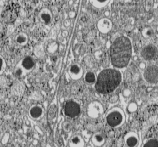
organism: C57BL Mouse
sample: Pancreatic islet